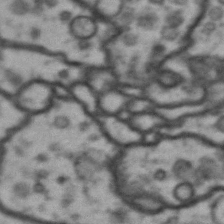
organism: Drosophila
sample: Brain